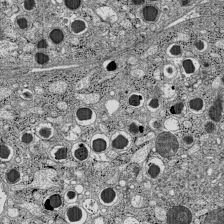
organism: C57BL Mouse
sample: Pancreatic islet